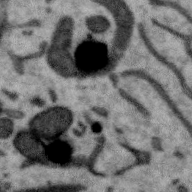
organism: Zebra finch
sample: Brain